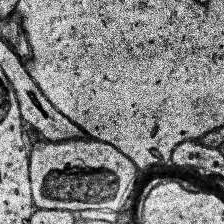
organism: Human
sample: Temporal Lobe